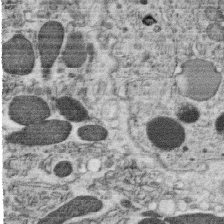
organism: C. elegans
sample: C. elegans oocyte; sperm cells